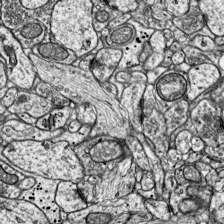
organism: Mouse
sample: Visual Cortex